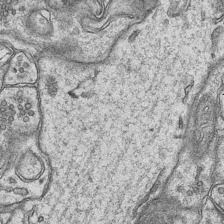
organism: Mouse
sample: CA1 Hippocampus